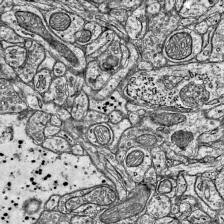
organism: Mouse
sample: Visual Cortex